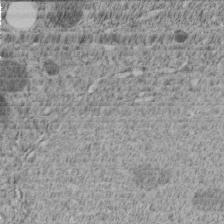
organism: C. elegans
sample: C. elegans embryo early stage